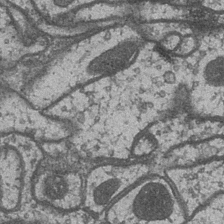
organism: Drosophila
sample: Optic medulla